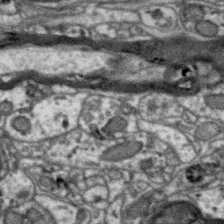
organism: Zebra finch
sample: Brain